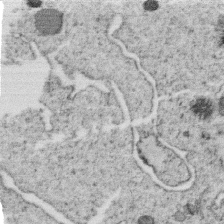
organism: C. elegans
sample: C. elegans oocyte; sperm cells